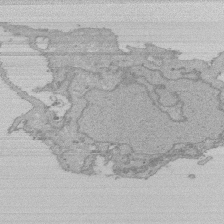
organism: Human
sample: Activated Jurkat CD4+ T cells